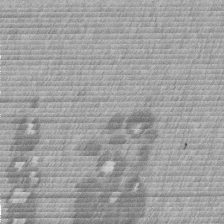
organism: Mouse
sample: Dividing mouse embryo 1 cell stage